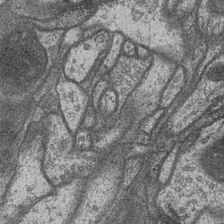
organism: Drosophila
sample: Optic medulla